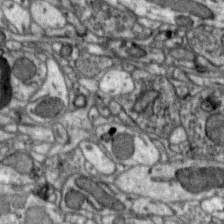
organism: Zebra finch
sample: Brain